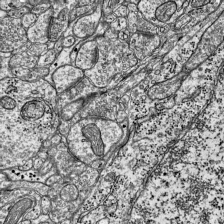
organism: Mouse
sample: Visual Cortex